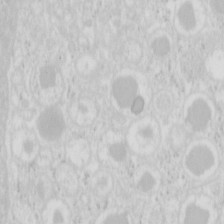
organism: Mouse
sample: Pancreas